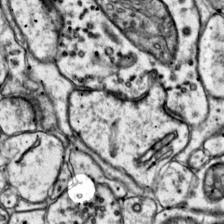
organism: Mouse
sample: Primary visual cortex